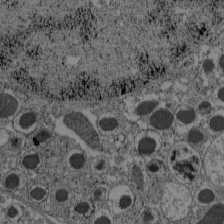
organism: C57BL Mouse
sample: Pancreatic islet